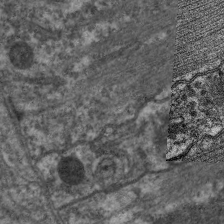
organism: C. elegans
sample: Pharynx